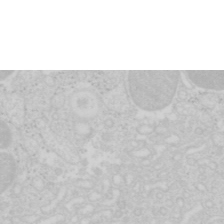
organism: Mouse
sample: Pancreas